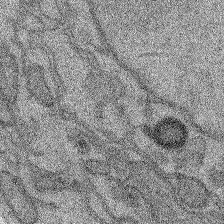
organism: Human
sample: HeLa cells